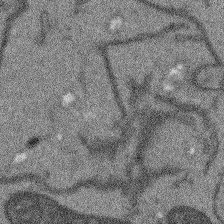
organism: Arabidopsis thaliana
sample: Root tip